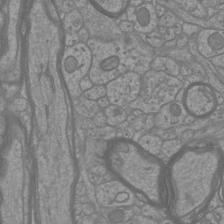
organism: Mouse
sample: Cortical neurons